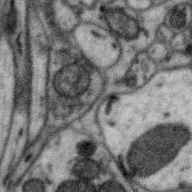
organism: Zebra finch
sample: Brain